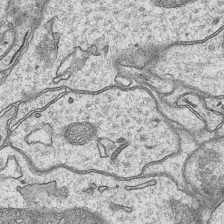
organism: Mouse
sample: CA1 Hippocampus